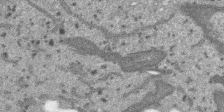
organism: Human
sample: Lung epithelial cells infected with SARS-CoV-2